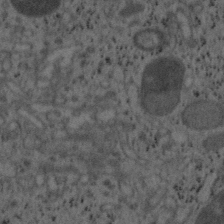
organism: Human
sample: HeLa cells